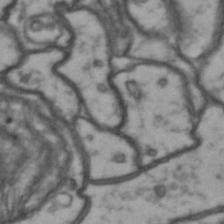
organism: Drosophila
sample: Brain